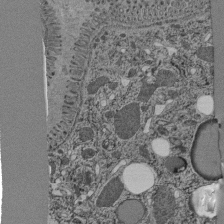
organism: C. elegans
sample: C. elegans pharynx